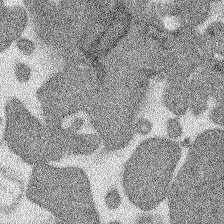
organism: Human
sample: HeLa cells